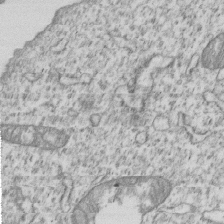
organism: Human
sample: MDA-MB-231 cells